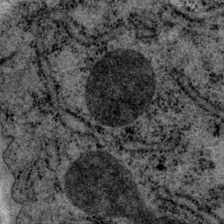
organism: P. pacificus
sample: Pharynx